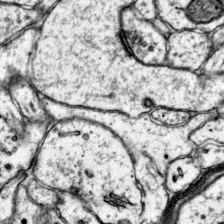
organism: Mouse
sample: Primary visual cortex